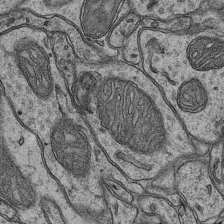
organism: Mouse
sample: CA1 Hippocampus